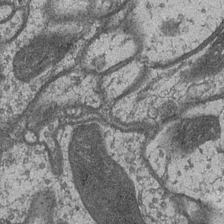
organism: Drosophila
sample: Optic medulla